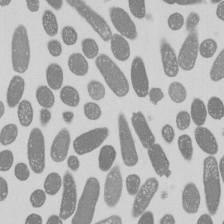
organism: E. coli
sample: Bacterial nucleoid